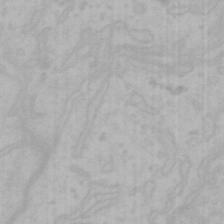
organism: Mouse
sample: Choroid plexus